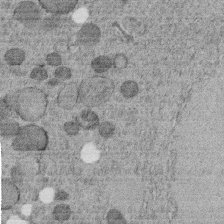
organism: C. elegans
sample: C. elegans embryo early stage